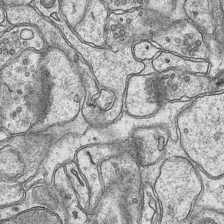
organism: Mouse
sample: CA1 Hippocampus